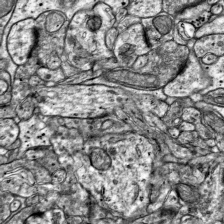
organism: Mouse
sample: Visual Cortex